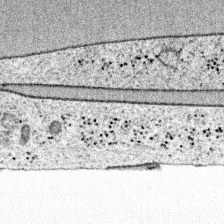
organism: Human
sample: HeLa cells